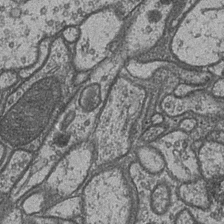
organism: Drosophila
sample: Optic medulla